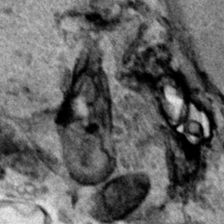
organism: Human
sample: Mitochondria in HCT116 cells